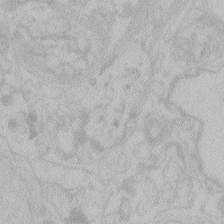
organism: Zebrafish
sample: Macrophage infected with Toxoplasma gondii